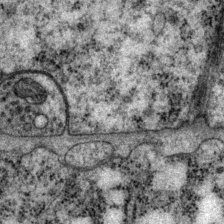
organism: P. pacificus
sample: Pharynx